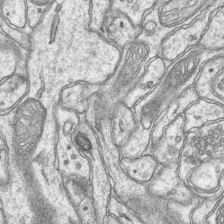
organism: Mouse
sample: CA1 Hippocampus